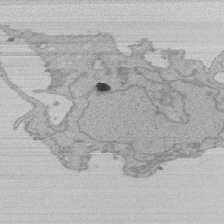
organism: Human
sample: Activated Jurkat CD4+ T cells